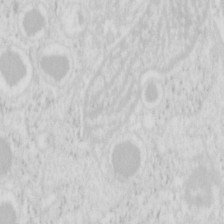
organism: Mouse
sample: Pancreas